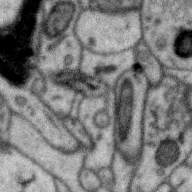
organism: Zebra finch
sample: Brain